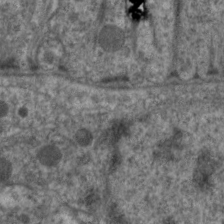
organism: C. elegans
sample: Pharynx